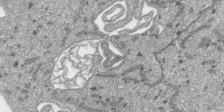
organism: Human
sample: Lung epithelial cells infected with SARS-CoV-2